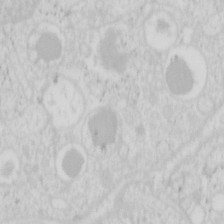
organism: Mouse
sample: Pancreas